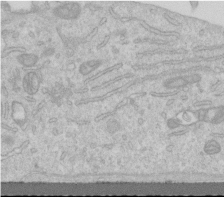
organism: Human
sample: Centriole in RPE cells